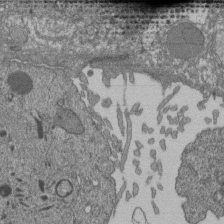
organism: Human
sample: Retinal organoid Rod and Cone cells